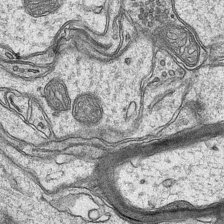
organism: Mouse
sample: CA1 Hippocampus